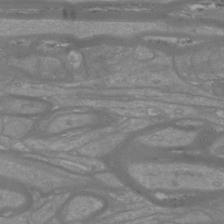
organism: Mouse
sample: Cortical neurons